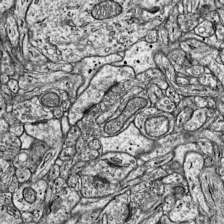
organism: Mouse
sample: Visual Cortex